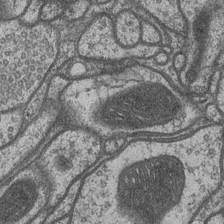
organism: Drosophila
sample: Optic medulla